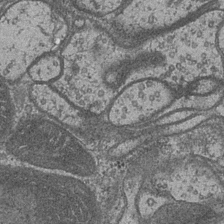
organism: Drosophila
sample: Optic medulla